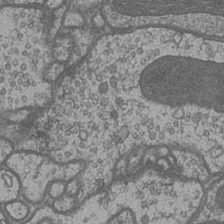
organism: Drosophila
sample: Optic medulla